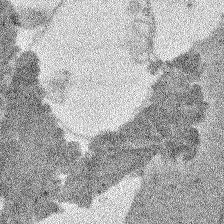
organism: Human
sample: HeLa cells